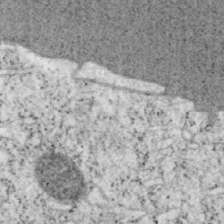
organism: Mouse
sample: OT-I killer T cells with ID8 ovarian cancer cells